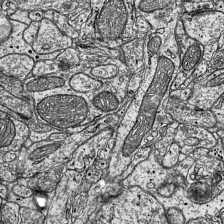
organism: Mouse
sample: Visual Cortex